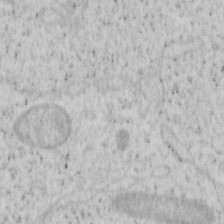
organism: Human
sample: HeLa cells